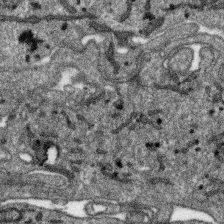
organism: Human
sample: Lung epithelial cells infected with SARS-CoV-2